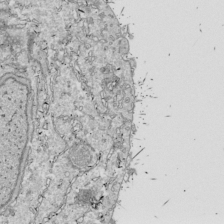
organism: Drosophila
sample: Cell division; meiosis; drosophila spermatocytes